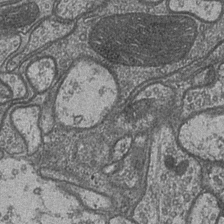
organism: Drosophila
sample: Optic medulla